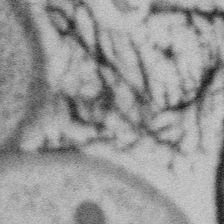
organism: Gemmata obscuriglobus